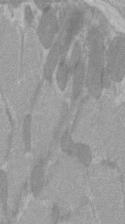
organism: C57BL Mouse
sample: Tibialis anterior muscle cell